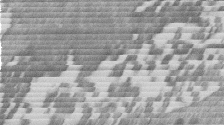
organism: Mouse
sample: Dividing mouse embryo 1 cell stage